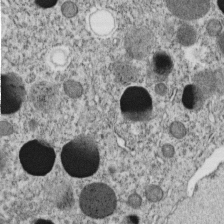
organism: C. elegans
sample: C. elegans embryo early stage